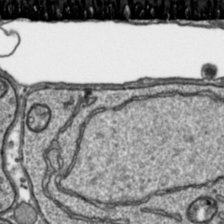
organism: Toxoplasma gondii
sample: Parasites in a vacuole inside a host cell